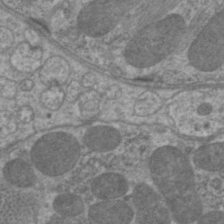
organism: C. elegans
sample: Pharynx